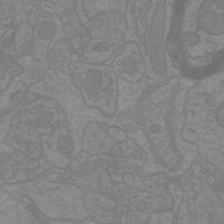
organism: Mouse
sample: Cortical neurons